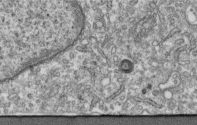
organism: Human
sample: Centriole in fibroblast cells